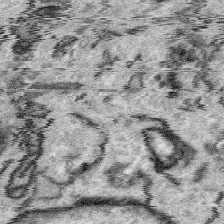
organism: Human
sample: HeLa cells